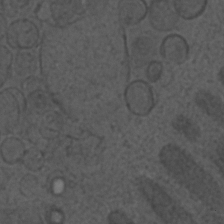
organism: C. elegans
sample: C. elegans embryo